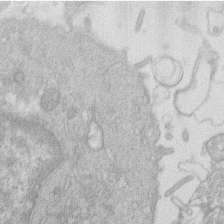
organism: Human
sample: Macrophage cells